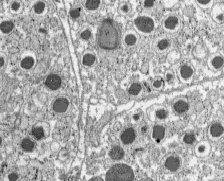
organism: C57BL Mouse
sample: Pancreatic islet